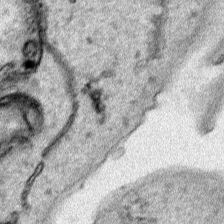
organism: Human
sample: Mitochondria in HCT116 cells